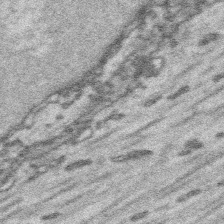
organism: Platynereis dumerilii